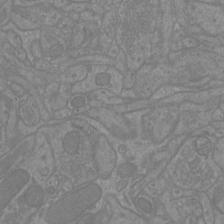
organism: Mouse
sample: Cortical neurons